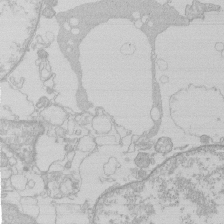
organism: Human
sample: Macrophage cells